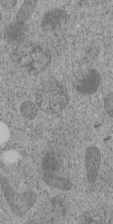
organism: C. elegans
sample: C. elegans embryo early stage